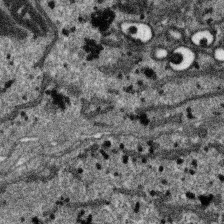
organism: Human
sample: Lung epithelial cells infected with SARS-CoV-2